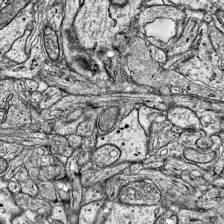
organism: Mouse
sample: Visual Cortex